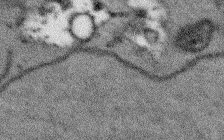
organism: Arabidopsis thaliana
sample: Root tip